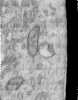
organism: Human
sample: Centriole in RPE cells